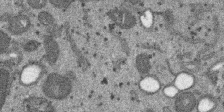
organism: Human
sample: Lung epithelial cells infected with SARS-CoV-2